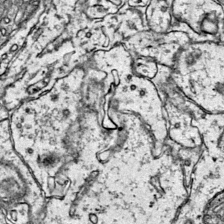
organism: Mouse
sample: Primary visual cortex